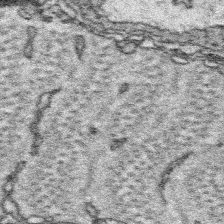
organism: Platynereis dumerilii